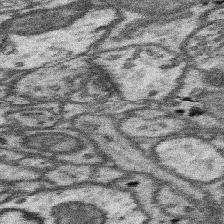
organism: Mouse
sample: Somatosensory cortex neuropil